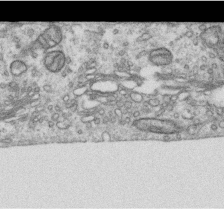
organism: Human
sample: Centriole in RPE cells